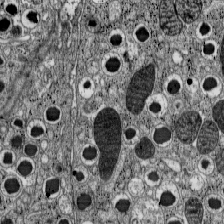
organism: C57BL Mouse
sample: Pancreatic islet